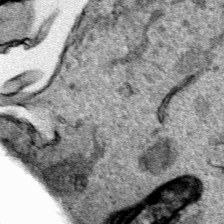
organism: Human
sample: Mitochondria in HCT116 cells